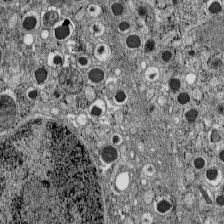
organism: C57BL Mouse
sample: Pancreatic islet